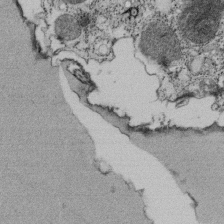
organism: Tetrahymena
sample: Cilia in tetrahymena